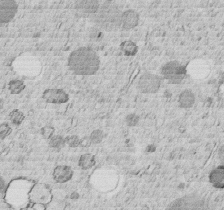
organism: C. elegans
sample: C. elegans embryo early stage